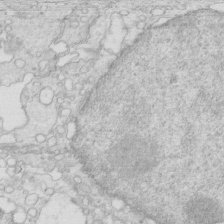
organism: Mouse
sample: Multiciliated cells